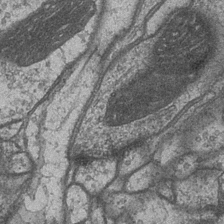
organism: Drosophila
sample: Optic medulla